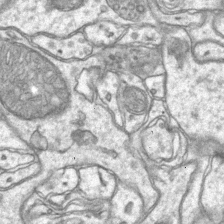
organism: Mouse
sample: CA1 Hippocampus